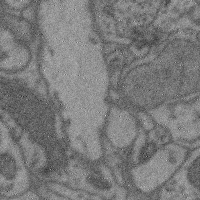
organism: Mouse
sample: Cerebral cortex